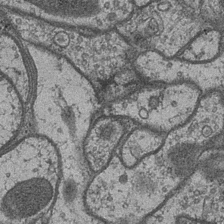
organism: Drosophila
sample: Optic medulla